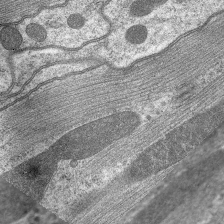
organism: C. elegans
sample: Pharynx